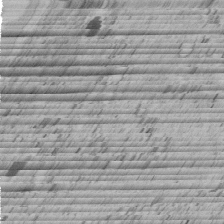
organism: C. elegans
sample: C. elegans embryo early stage